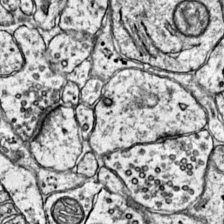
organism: Mouse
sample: Primary visual cortex